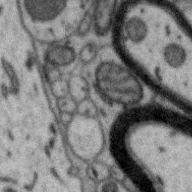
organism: Zebra finch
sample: Brain